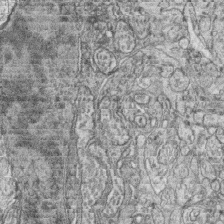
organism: Zebrafish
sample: synaptic ribbons in rod cells and cone cells